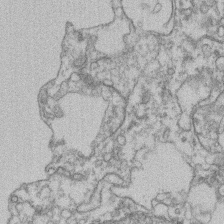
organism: Mouse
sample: T cell stromal cell synapse